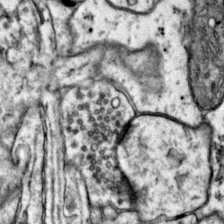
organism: Mouse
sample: Primary visual cortex